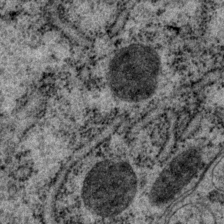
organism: P. pacificus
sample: Pharynx